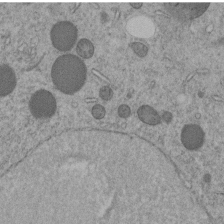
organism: C. elegans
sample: C. elegans embryo early stage